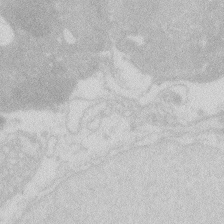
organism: Zebrafish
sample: Macrophage